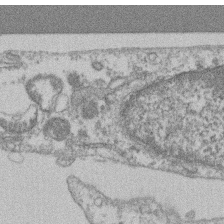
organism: Mouse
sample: T cell stromal cell synapse